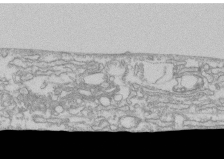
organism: Human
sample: CRL-1474